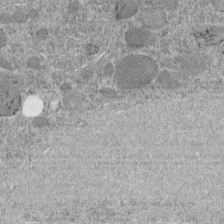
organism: C. elegans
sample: C. elegans embryo early stage